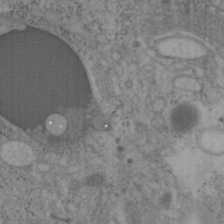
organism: Mouse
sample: OT-I killer T cells with ID8 ovarian cancer cells